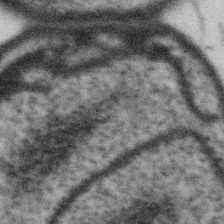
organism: Gemmata obscuriglobus